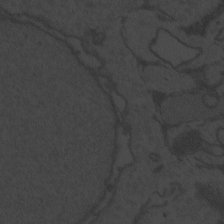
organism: Zebrafish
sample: Macrophage infected with Toxoplasma gondii